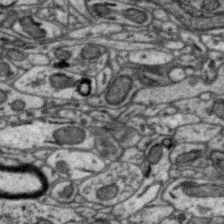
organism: Zebra finch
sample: Brain